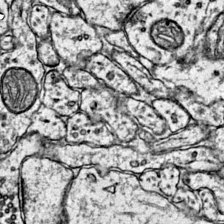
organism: Mouse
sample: Primary visual cortex